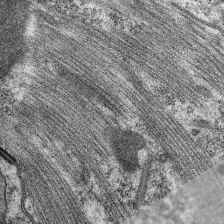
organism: C. elegans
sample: Pharynx